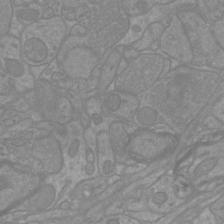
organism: Mouse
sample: Cortical neurons